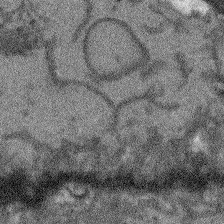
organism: Arabidopsis thaliana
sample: Root tip